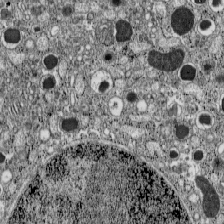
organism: C57BL Mouse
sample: Pancreatic islet